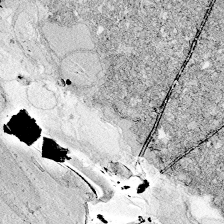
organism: Zebrafish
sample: Whole-Brain